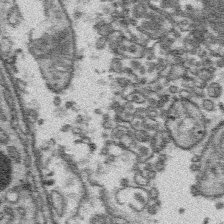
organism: Platynereis dumerilii